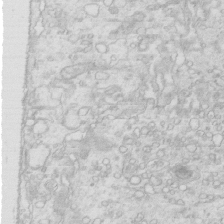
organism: Mouse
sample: Multiciliated cells